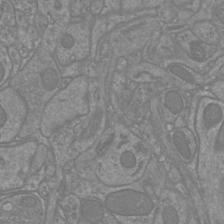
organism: Mouse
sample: Cortical neurons